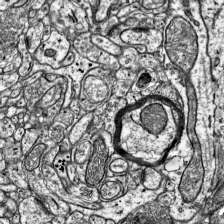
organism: Mouse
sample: Visual Cortex